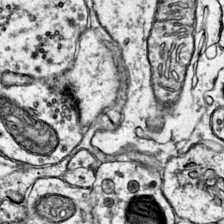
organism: Mouse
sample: Primary visual cortex